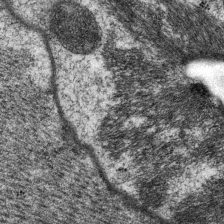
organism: P. pacificus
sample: Pharynx